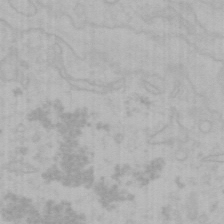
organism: Mouse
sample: Choroid plexus